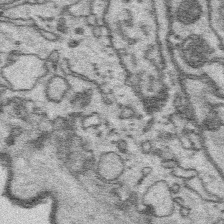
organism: Platynereis dumerilii